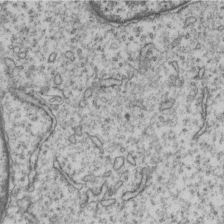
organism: Human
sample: MDA-MB-231 cells